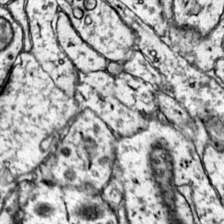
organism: Mouse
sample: Primary visual cortex